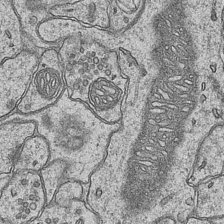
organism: Mouse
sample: CA1 Hippocampus